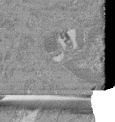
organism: Mouse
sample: Glomerulus